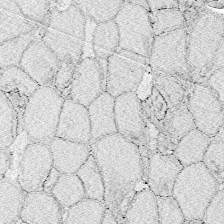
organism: Zebrafish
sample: Whole-Brain